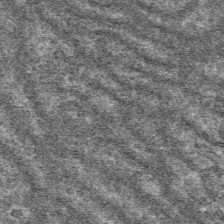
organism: Mouse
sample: Mouse hepatocytes